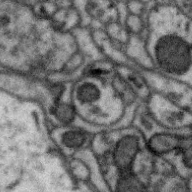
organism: Zebra finch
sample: Brain